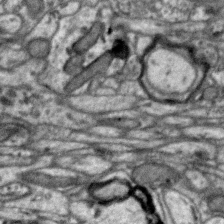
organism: Zebra finch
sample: Brain